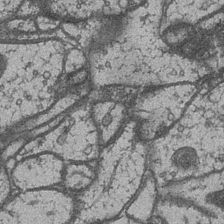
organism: Drosophila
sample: Optic medulla